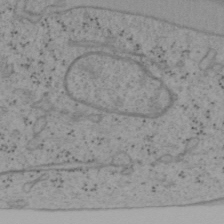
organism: Human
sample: HeLa cells